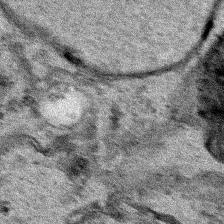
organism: Human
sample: Mitochondria in HCT116 cells